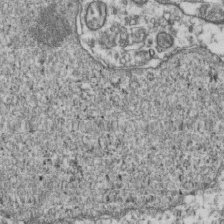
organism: Human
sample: Activated Jurkat CD4+ T cells